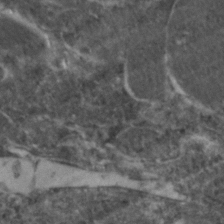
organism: Zebrafish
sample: Zebrafish embryo